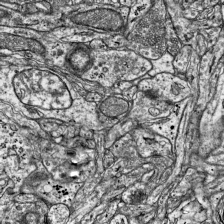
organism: Mouse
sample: Visual Cortex